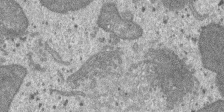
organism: Human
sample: Lung epithelial cells infected with SARS-CoV-2